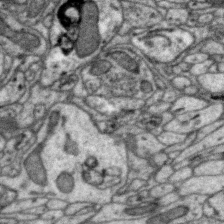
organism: Zebra finch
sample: Brain